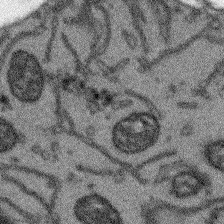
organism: Arabidopsis thaliana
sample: Root tip